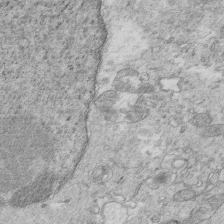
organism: Mouse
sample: Multiciliated cells